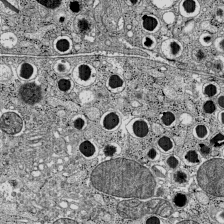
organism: C57BL Mouse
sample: Pancreatic islet